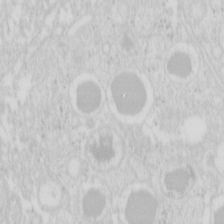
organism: Mouse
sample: Pancreas